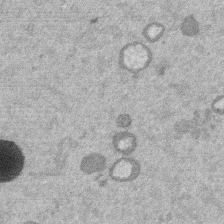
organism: Mouse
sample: Dividing mouse embryo 1 cell stage